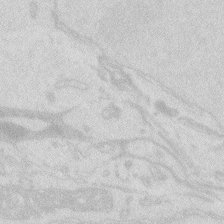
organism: Zebrafish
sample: Macrophage